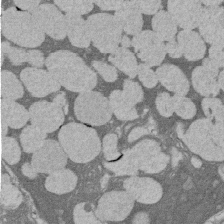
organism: Rat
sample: Salivary granule